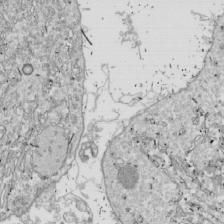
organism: Drosophila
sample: Cell division; meiosis; drosophila spermatocytes